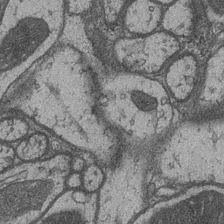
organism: Drosophila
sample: Optic medulla